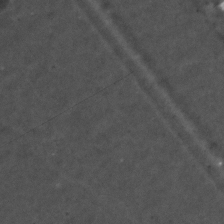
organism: C. elegans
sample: C. elegans embryo